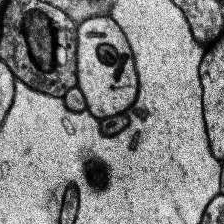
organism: Human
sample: Temporal Lobe